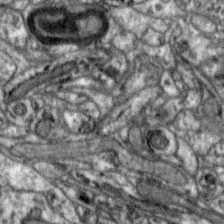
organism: Zebra finch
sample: Brain